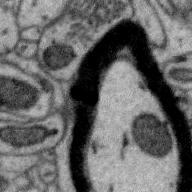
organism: Zebra finch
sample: Brain